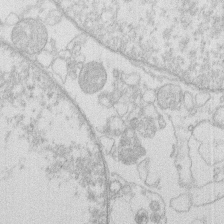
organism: Human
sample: Macrophage cells